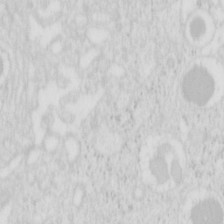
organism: Mouse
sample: Pancreas